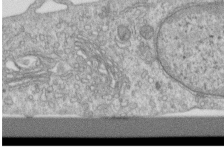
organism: Human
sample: Centriole in RPE cells